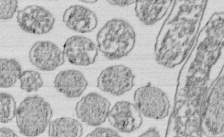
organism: E. coli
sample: Bacterial nucleoid